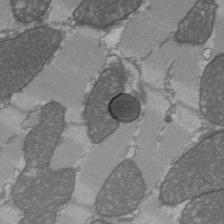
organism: C57BL Mouse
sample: Heart